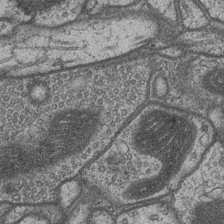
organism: Drosophila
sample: Optic medulla